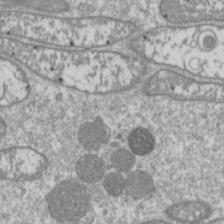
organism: Drosophila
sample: Cell division; meiosis; drosophila spermatocytes